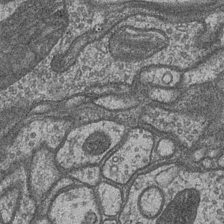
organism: Drosophila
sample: Optic medulla